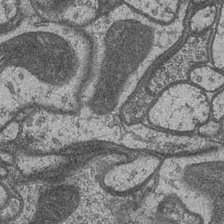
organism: Drosophila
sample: Optic medulla